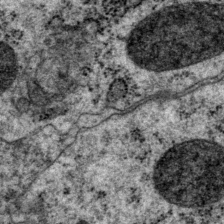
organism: P. pacificus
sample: Pharynx